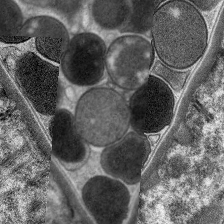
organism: C. elegans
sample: Pharynx